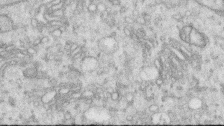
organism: Human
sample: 1205lu cells